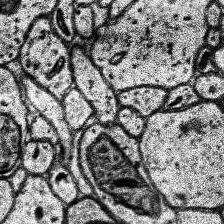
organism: Human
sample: Temporal Lobe